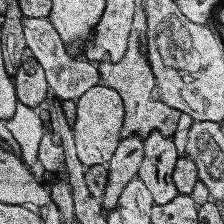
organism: Human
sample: Temporal Lobe